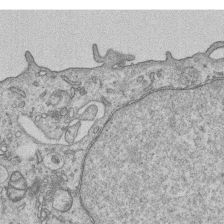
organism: Human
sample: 1205lu cells